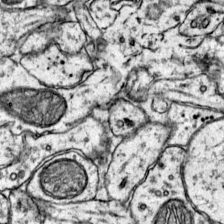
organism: Mouse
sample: Primary visual cortex